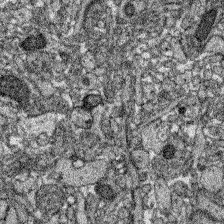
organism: Zebrafish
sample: Larval olfactory bulb